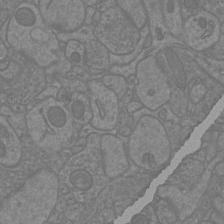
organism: Mouse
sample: Cortical neurons